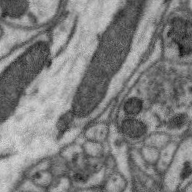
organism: Zebra finch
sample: Brain